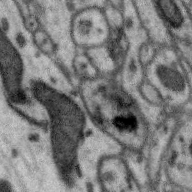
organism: Zebra finch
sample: Brain